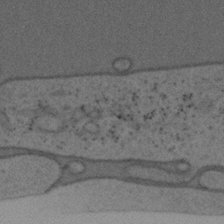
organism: Human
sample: HeLa cells